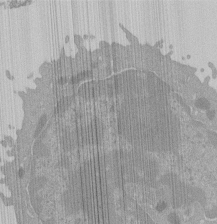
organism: Mouse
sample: Activated Pmel transgenic CD8+ T Cells